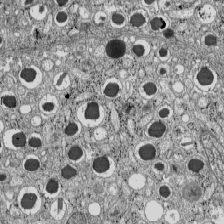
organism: C57BL Mouse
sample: Pancreatic islet